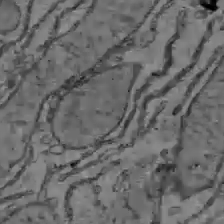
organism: C57BL Mouse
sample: Liver